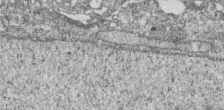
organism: Human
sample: HeLa cell HIV synapse